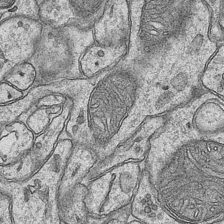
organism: Mouse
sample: CA1 Hippocampus